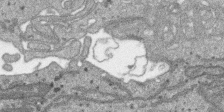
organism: Human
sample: Lung epithelial cells infected with SARS-CoV-2